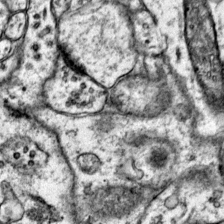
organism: Mouse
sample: Primary visual cortex